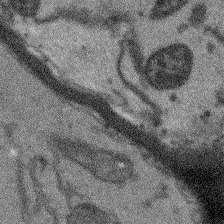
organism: Arabidopsis thaliana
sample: Root tip